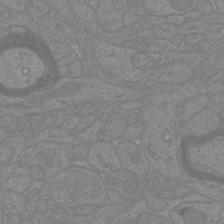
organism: Mouse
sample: Cortical neurons